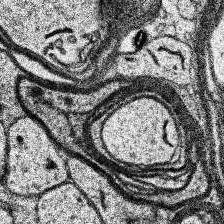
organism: Human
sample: Temporal Lobe